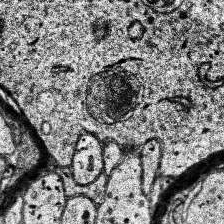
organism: Human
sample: Temporal Lobe